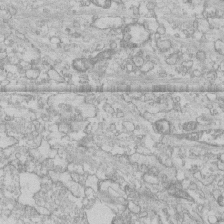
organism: Human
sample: CRL-1474